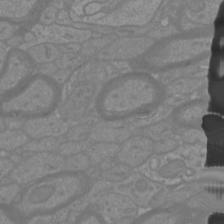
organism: Mouse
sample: Cortical neurons